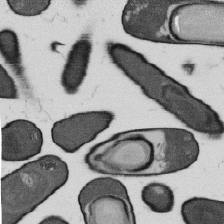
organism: B. subtilis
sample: Bacterial spore